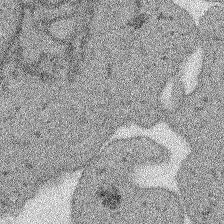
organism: Human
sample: HeLa cells